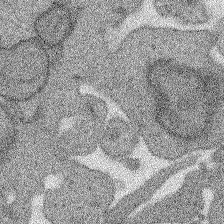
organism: Human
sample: HeLa cells